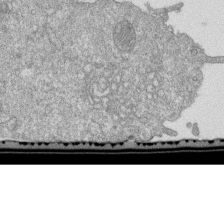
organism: Human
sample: HeLa cell HIV synapse